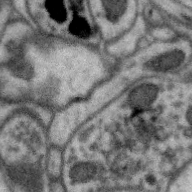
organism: Zebra finch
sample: Brain